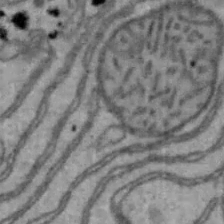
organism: Mouse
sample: Liver